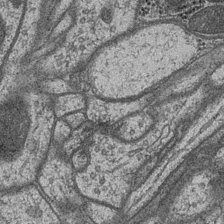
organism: Drosophila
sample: Optic medulla